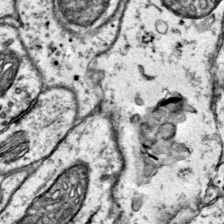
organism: Mouse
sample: Primary visual cortex